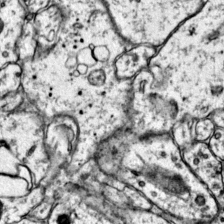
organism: Mouse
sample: Primary visual cortex